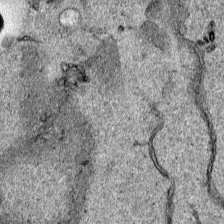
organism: Human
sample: Mitochondria in HCT116 cells